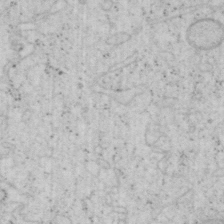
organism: Human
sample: HeLa cells